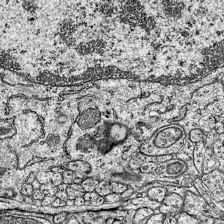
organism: Mouse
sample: Visual Cortex